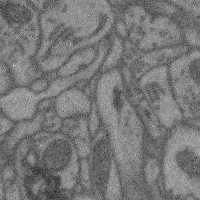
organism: Mouse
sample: Cerebral cortex